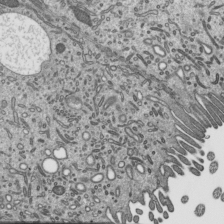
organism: Mouse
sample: Mouse epididymis efferent ductule cilia